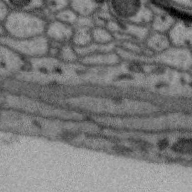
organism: Zebra finch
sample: Brain